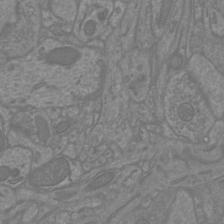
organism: Mouse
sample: Cortical neurons